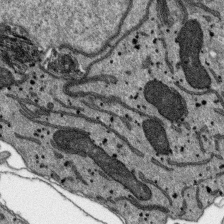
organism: Human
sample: Lung epithelial cells, uninfected (mock) control